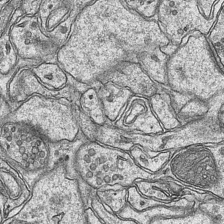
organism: Mouse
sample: CA1 Hippocampus